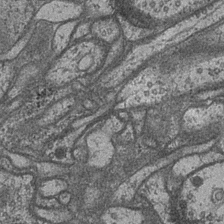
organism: Drosophila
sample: Optic medulla